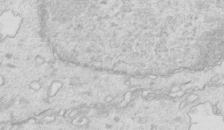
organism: Mouse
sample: Multiciliated cells